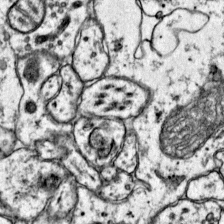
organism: Mouse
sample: Primary visual cortex